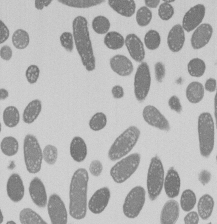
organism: E. coli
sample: Bacterial nucleoid